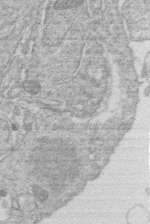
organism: Human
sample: Macrophage cells